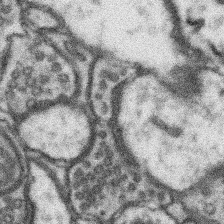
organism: Mouse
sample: Somatosensory cortex neuropil